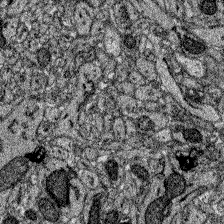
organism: Zebrafish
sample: Larval olfactory bulb